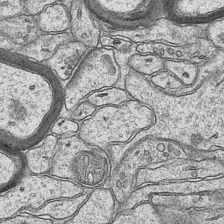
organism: Mouse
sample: CA1 Hippocampus